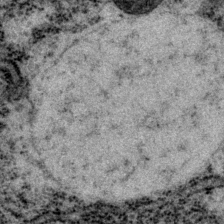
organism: P. pacificus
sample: Pharynx